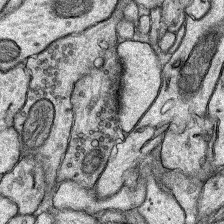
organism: Rat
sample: Hippocampus